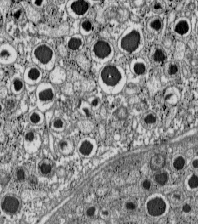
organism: C57BL Mouse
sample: Pancreatic islet